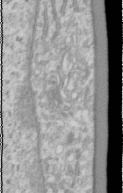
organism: Human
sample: Cilia; basal body in RPE cells